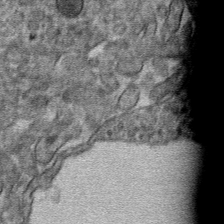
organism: Mouse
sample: Mouse hepatocytes